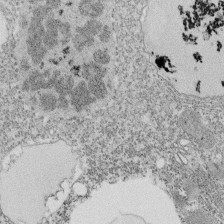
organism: Tetrahymena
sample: Cilia in tetrahymena